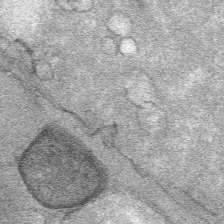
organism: Mouse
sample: Mouse Salivary gland